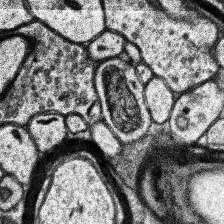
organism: Human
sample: Temporal Lobe